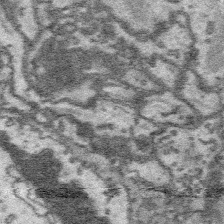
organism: Platynereis dumerilii